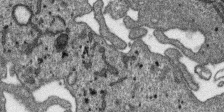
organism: Human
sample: Lung epithelial cells infected with SARS-CoV-2